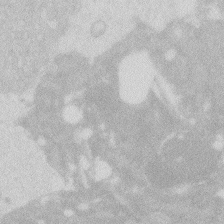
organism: Zebrafish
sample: Macrophage